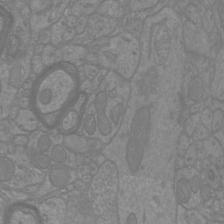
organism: Mouse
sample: Cortical neurons